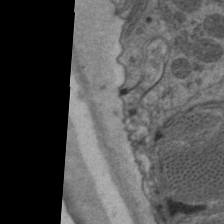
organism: C. elegans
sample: Pharynx